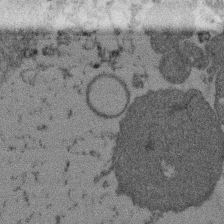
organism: Mouse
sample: Dividing mouse embryo 1 cell stage